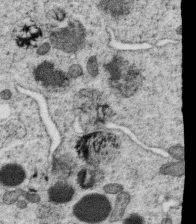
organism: C. elegans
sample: C. elegans oocyte; sperm cells